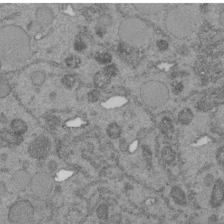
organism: C. elegans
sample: C. elegans embryo early stage